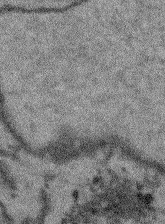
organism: Arabidopsis thaliana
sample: Root tip